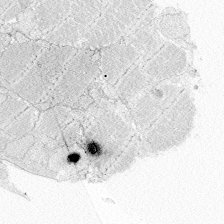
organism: Zebrafish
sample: Whole-Brain